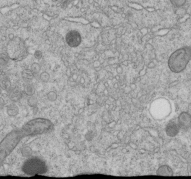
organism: C. elegans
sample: C. elegans embryo early stage